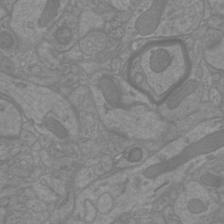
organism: Mouse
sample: Cortical neurons